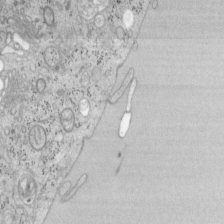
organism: Mouse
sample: OT-I killer T cells with ID8 ovarian cancer cells